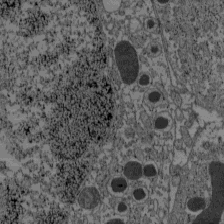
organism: C57BL Mouse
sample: Pancreatic islet